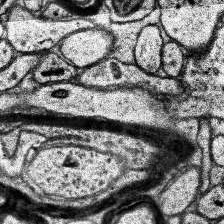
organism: Human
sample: Temporal Lobe